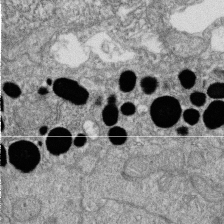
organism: Zebrafish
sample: Cilia; retinal pigment epithelium